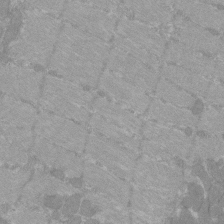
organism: C57BL Mouse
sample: Tibialis anterior muscle cell